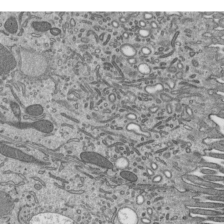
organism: Mouse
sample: Mouse epididymis efferent ductule cilia